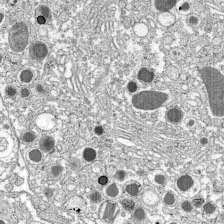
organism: C57BL Mouse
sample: Pancreatic islet